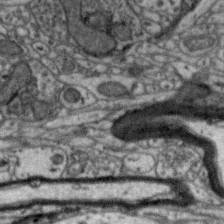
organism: Zebra finch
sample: Brain